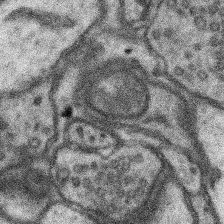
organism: Mouse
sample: Somatosensory cortex neuropil